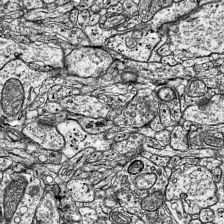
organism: Mouse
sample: Visual Cortex